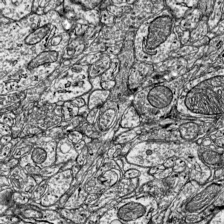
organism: Mouse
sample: Visual Cortex